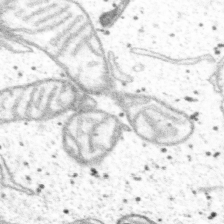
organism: Human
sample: HeLa cells